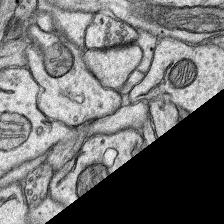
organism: Rat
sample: Hippocampus